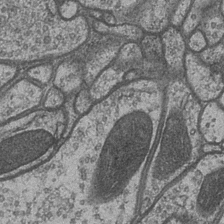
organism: Drosophila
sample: Optic medulla